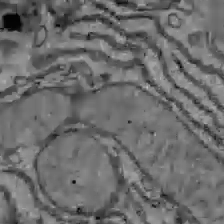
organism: C57BL Mouse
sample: Liver